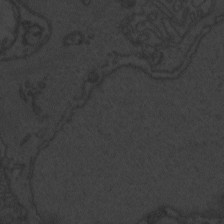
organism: Zebrafish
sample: Macrophage infected with Toxoplasma gondii